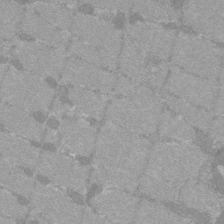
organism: C57BL Mouse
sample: Tibialis anterior muscle cell